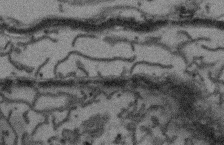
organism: Arabidopsis thaliana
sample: Root tip